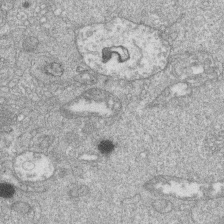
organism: Human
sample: HeLa cell HIV synapse